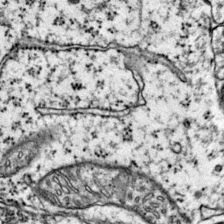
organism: Mouse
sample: Primary visual cortex